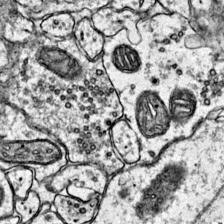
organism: Mouse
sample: Primary visual cortex